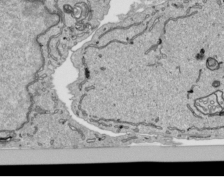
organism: Human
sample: Mitochondria in HCT116 cells